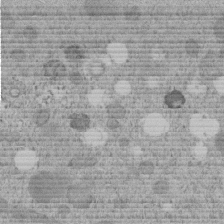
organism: C. elegans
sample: C. elegans embryo early stage